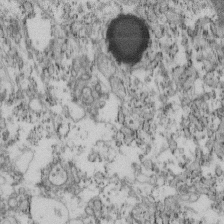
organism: Mouse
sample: Cilia; retinal pigment epithelium